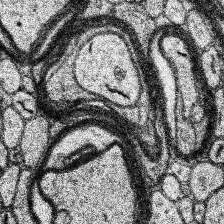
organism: Human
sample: Temporal Lobe